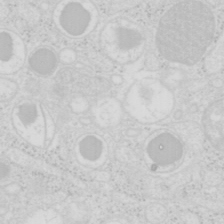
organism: Mouse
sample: Pancreas